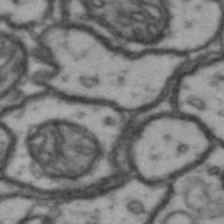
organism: Drosophila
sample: Brain